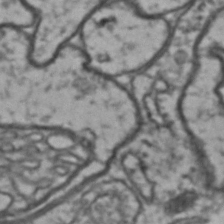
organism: Drosophila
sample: Brain